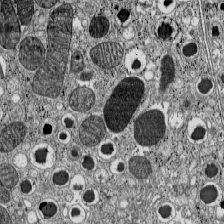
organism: C57BL Mouse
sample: Pancreatic islet